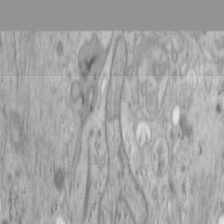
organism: Human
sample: HeLa cells